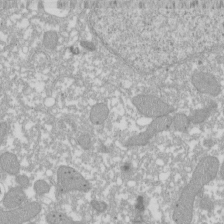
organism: Xenopus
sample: Cilia; centrioles in frog embryo cells